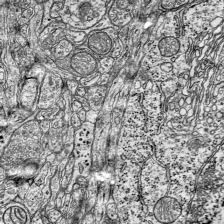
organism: Mouse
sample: Visual Cortex